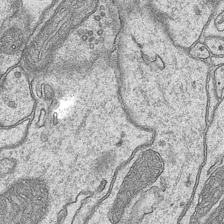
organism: Mouse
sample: CA1 Hippocampus